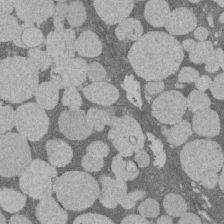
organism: Rat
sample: Salivary granule